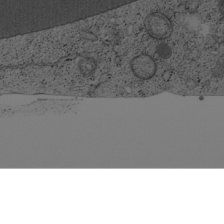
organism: African green monkey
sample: COS-7 cells